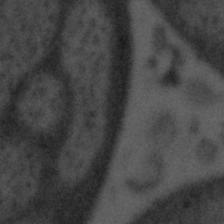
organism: Tuwongella immobilis